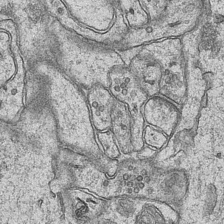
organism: Mouse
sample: CA1 Hippocampus